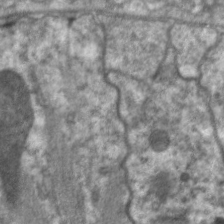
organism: C. elegans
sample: Pharynx